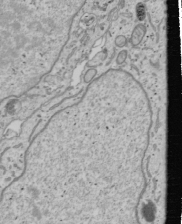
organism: Human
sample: Mitochondria in U2OS cells